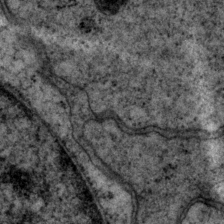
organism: P. pacificus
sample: Pharynx